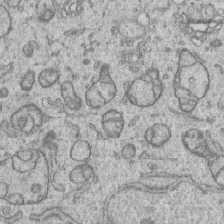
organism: Human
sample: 1205lu cells